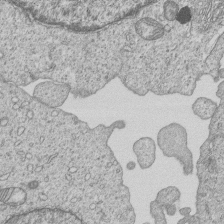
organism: Human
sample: MDA-MB-231 cells